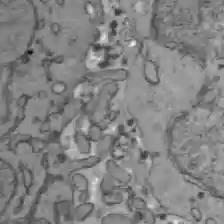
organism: C57BL Mouse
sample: Liver